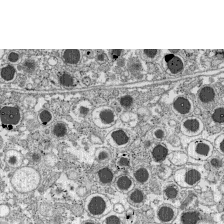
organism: C57BL Mouse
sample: Pancreatic islet